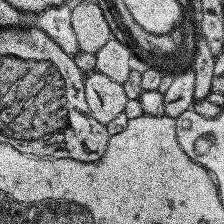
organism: Human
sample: Temporal Lobe